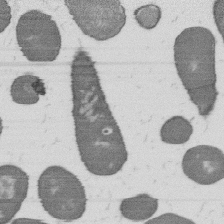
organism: B. subtilis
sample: Bacterial spore